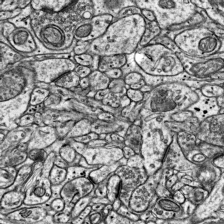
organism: Mouse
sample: Visual Cortex